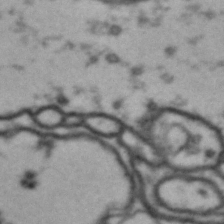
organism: Drosophila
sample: Brain